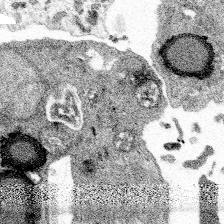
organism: Spongilla lacustris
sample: Multiple